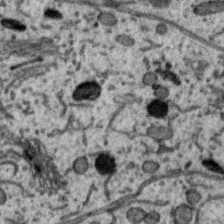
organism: Zebra finch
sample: Brain